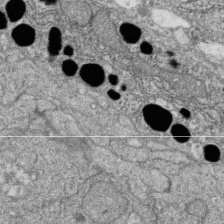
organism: Zebrafish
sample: Cilia; retinal pigment epithelium